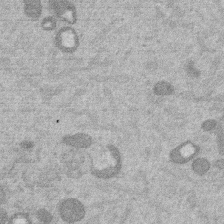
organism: Mouse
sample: Dividing mouse embryo 1 cell stage